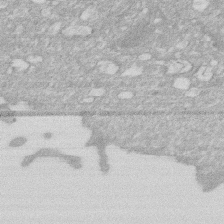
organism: Human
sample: HIV infected U937 cells